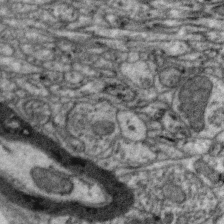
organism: Zebra finch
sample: Brain